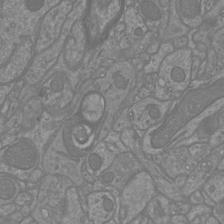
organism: Mouse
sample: Cortical neurons